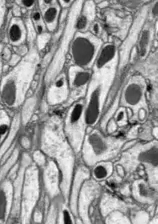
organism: Drosophila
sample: Optic lobe